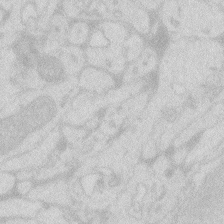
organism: Zebrafish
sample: Macrophage